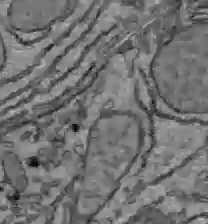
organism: C57BL Mouse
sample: Liver